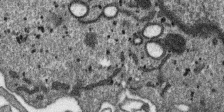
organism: Human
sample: Lung epithelial cells infected with SARS-CoV-2